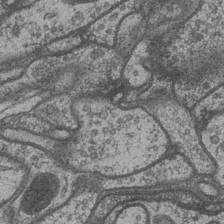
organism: Drosophila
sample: Optic medulla